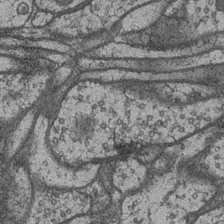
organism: Drosophila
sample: Optic medulla